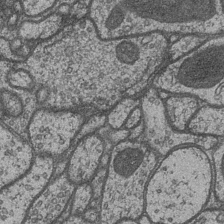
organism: Drosophila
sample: Optic medulla